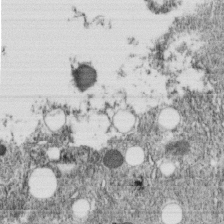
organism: C. elegans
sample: C. elegans embryo early stage